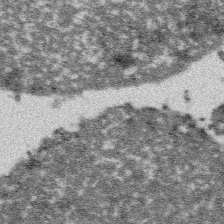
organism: Platynereis dumerilii